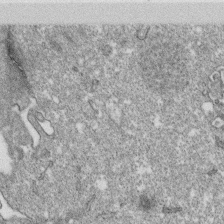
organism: African green monkey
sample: Vero E6 cells infected with SARS-CoV-2